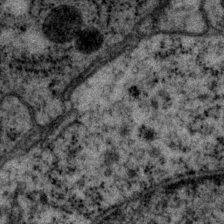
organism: P. pacificus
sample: Pharynx